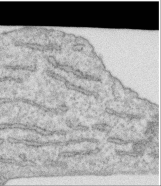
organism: Human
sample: Centriole in RPE cells